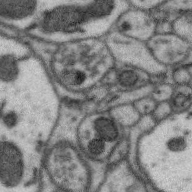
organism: Zebra finch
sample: Brain